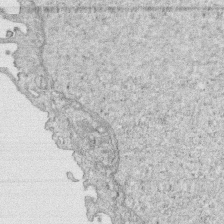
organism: Human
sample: HeLa cell HIV synapse